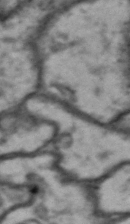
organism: Drosophila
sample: Brain